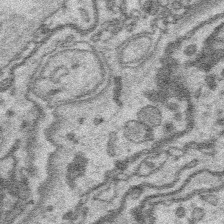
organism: Platynereis dumerilii